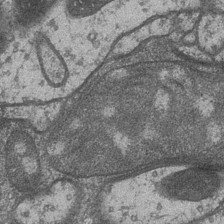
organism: Drosophila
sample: Optic medulla